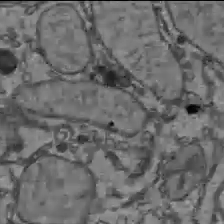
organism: C57BL Mouse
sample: Liver